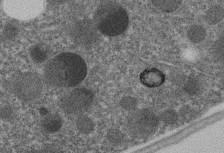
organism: C. elegans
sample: C. elegans embryo early stage